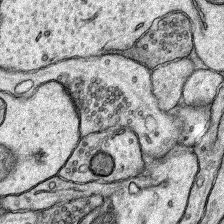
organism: Rat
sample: Hippocampus